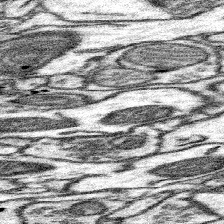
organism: Mouse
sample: Somatosensory cortex neuropil